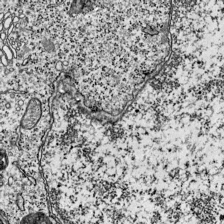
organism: Mouse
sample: Visual Cortex